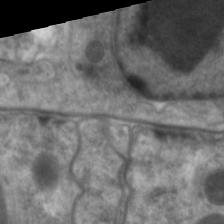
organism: C. elegans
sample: Pharynx